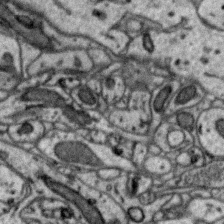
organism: Zebra finch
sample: Brain